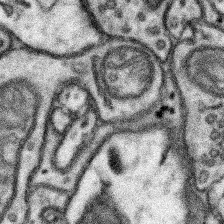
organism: Mouse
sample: Somatosensory cortex neuropil